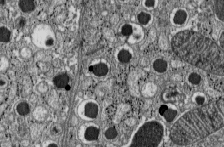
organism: C57BL Mouse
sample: Pancreatic islet